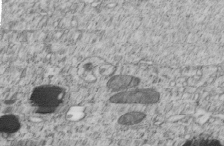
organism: C. elegans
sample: C. elegans embryo early stage